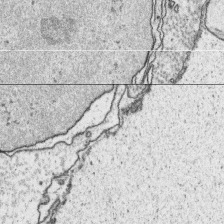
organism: Platynereis dumerilii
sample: Parapodia